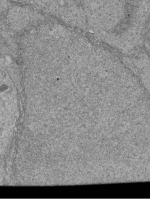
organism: Human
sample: Retinal organoid Rod and Cone cells